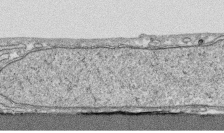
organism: Human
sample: CRL-1474